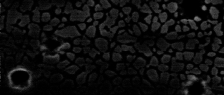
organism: Human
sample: Centriole in RPE cells